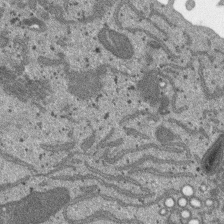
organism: Human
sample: Lung epithelial cells infected with SARS-CoV-2